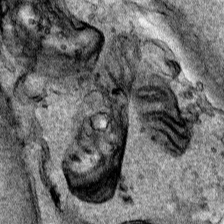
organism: Human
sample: Mitochondria in HCT116 cells